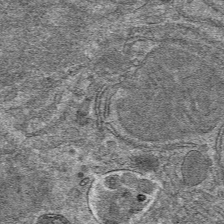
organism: Mouse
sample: Mouse hepatocytes